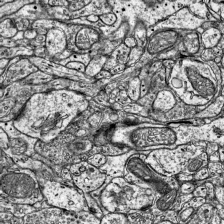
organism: Mouse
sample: Visual Cortex